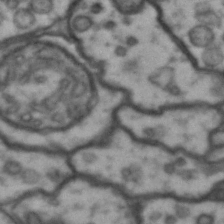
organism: Drosophila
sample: Brain